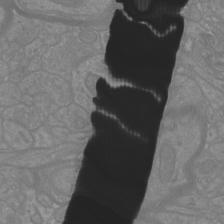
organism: Mouse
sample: Cortical neurons